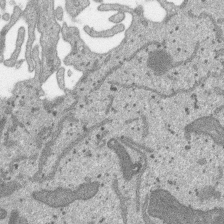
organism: Human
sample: Lung epithelial cells infected with SARS-CoV-2